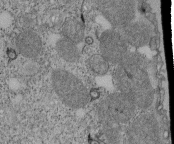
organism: Tetrahymena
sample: Cilia in tetrahymena